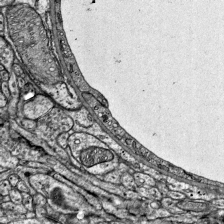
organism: Mouse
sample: Visual Cortex